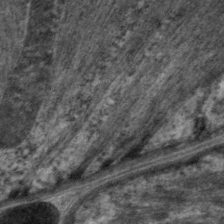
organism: C. elegans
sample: Pharynx